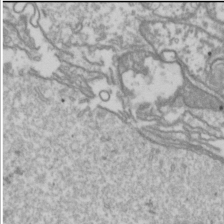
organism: Drosophila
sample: Cell division; meiosis; drosophila spermatocytes